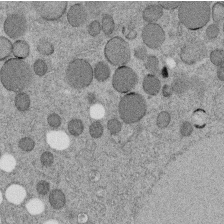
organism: C. elegans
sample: C. elegans embryo early stage